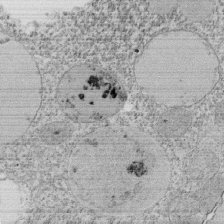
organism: Tetrahymena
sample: Cilia in tetrahymena